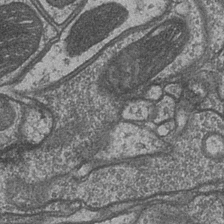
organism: Drosophila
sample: Optic medulla